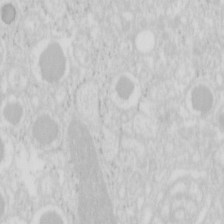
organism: Mouse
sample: Pancreas